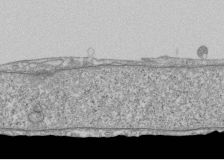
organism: Human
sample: Fibroblast cells